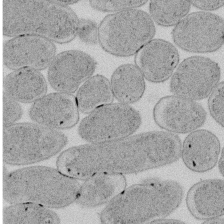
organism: E. coli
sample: Bacterial nucleoid